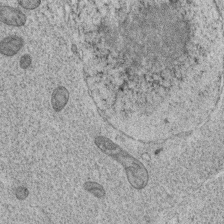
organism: C. elegans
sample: C. elegans oocyte; sperm cells